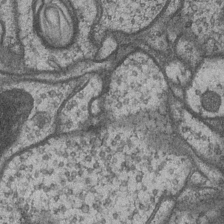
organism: Drosophila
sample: Optic medulla